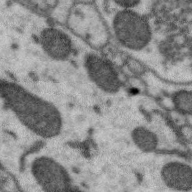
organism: Zebra finch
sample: Brain